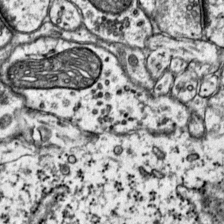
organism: Mouse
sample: Primary visual cortex